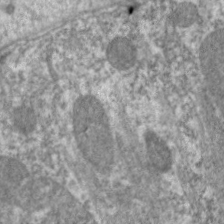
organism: C. elegans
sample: Pharynx